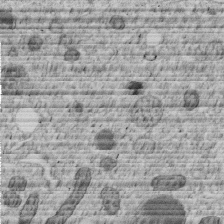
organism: C. elegans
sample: C. elegans embryo early stage